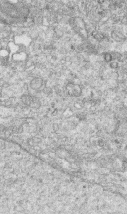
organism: Human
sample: HeLa cell HIV synapse